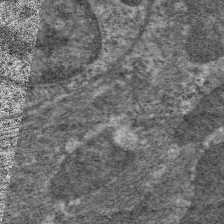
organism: C. elegans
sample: Pharynx